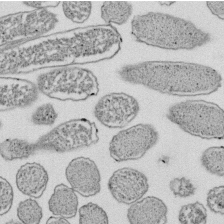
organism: E. coli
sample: Bacterial nucleoid